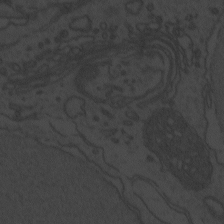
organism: Zebrafish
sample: Macrophage infected with Toxoplasma gondii